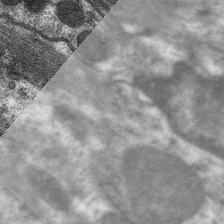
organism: C. elegans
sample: Pharynx